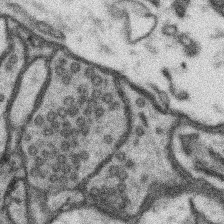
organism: Mouse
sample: Somatosensory cortex neuropil